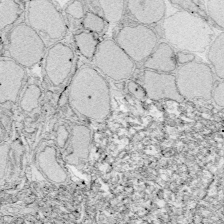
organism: Zebrafish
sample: Whole-Brain